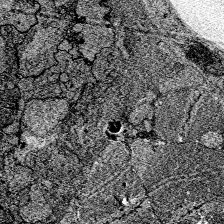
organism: Zebrafish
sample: Whole-Brain